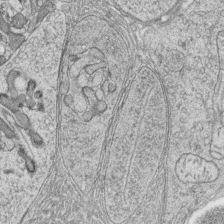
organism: Zebrafish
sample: synaptic ribbons in rod cells and cone cells